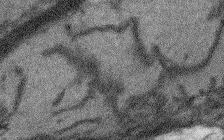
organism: Arabidopsis thaliana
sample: Root tip